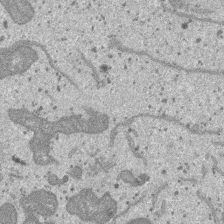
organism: Human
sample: Lung epithelial cells infected with SARS-CoV-2